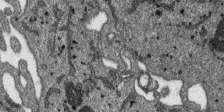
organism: Human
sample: Lung epithelial cells infected with SARS-CoV-2